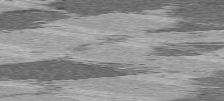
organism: C57BL Mouse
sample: Heart